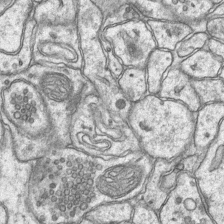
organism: Mouse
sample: CA1 Hippocampus